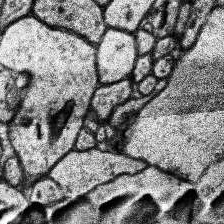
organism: Human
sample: Temporal Lobe